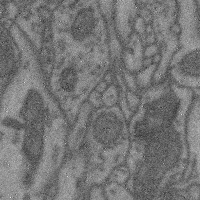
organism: Mouse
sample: Cerebral cortex